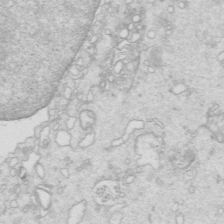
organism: Mouse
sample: Multiciliated cells